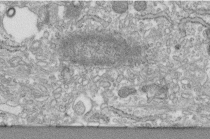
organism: Human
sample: Centriole in fibroblast cells